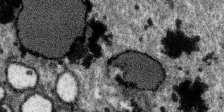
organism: Human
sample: Lung epithelial cells infected with SARS-CoV-2